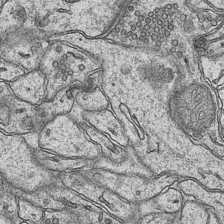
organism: Mouse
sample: CA1 Hippocampus